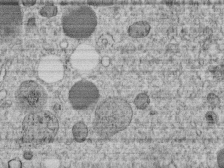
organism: C. elegans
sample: C. elegans embryo early stage